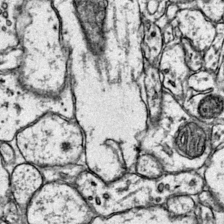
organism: Mouse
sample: Primary visual cortex